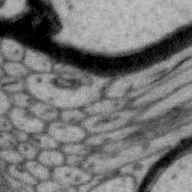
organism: Zebra finch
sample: Brain